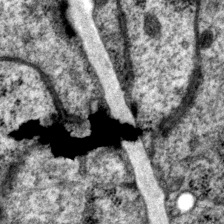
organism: P. pacificus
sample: Pharynx